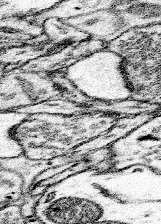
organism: Mouse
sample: Somatosensory cortex neuropil